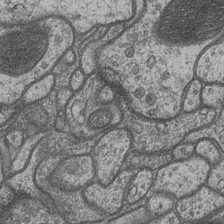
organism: Drosophila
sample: Optic medulla